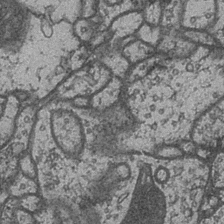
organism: Drosophila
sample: Optic medulla